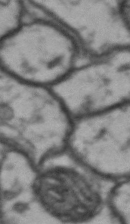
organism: Drosophila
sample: Brain